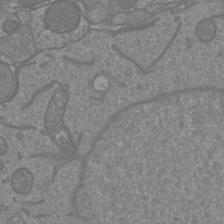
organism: Mouse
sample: Cortical neurons